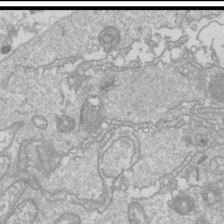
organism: Drosophila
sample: Cell division; meiosis; drosophila spermatocytes